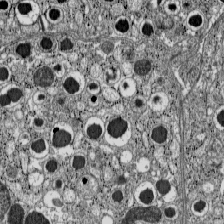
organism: C57BL Mouse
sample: Pancreatic islet